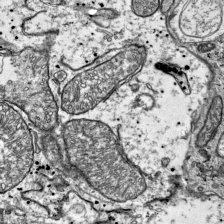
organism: Mouse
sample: Visual Cortex